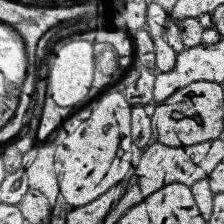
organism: Human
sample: Temporal Lobe